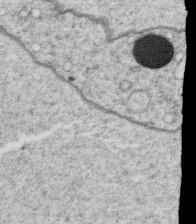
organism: C. elegans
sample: C. elegans oocyte; sperm cells